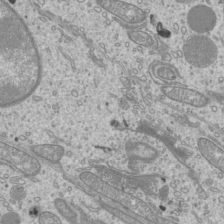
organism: Mouse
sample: Cilia; mouse epididymis